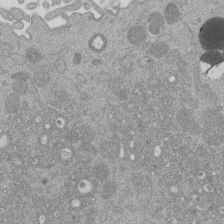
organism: Mouse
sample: Dividing mouse embryo 1 cell stage